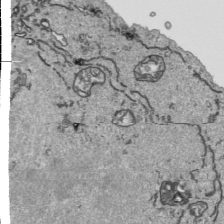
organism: Human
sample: Mitochondria in HCT116 cells